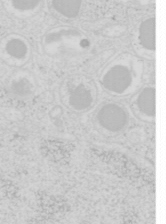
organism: Mouse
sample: Pancreas